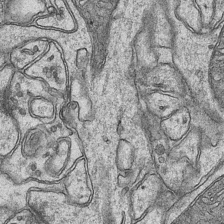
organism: Mouse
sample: CA1 Hippocampus